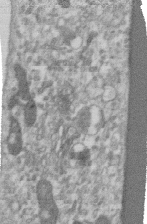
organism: Human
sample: Centriole in RPE cells